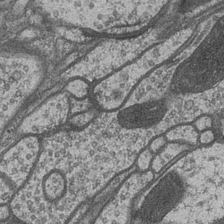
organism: Drosophila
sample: Optic medulla